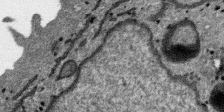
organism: Human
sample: Lung epithelial cells, uninfected (mock) control